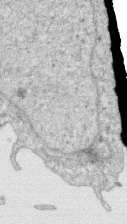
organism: Human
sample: HeLa cell HIV synapse